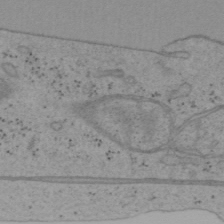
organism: Human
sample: HeLa cells